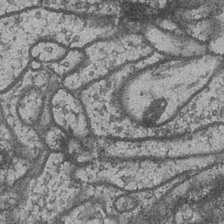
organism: Drosophila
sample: Optic medulla